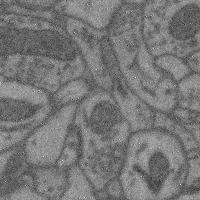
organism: Mouse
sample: Cerebral cortex